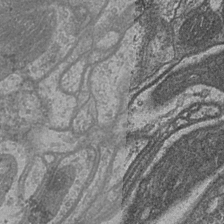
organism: Drosophila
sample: Optic medulla